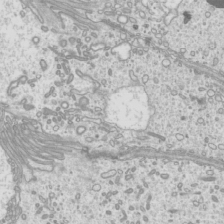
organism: Mouse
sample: Cilia; mouse epididymis